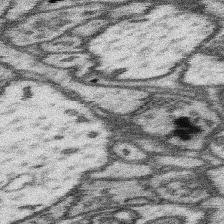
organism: Mouse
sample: Somatosensory cortex neuropil